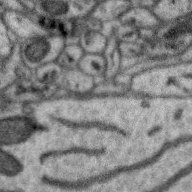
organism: Zebra finch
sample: Brain